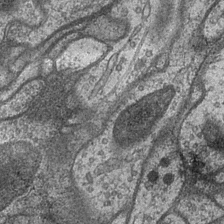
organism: Drosophila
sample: Optic medulla